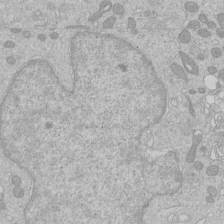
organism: Human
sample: Macrophage cells